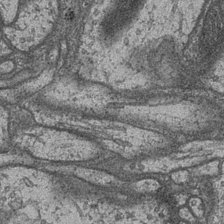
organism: Drosophila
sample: Optic medulla